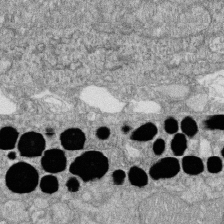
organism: Zebrafish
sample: Cilia; retinal pigment epithelium